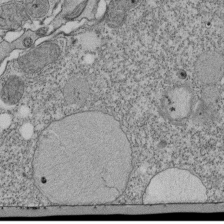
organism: Tetrahymena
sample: Cilia in tetrahymena